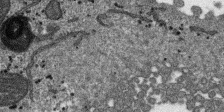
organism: Human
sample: Lung epithelial cells infected with SARS-CoV-2